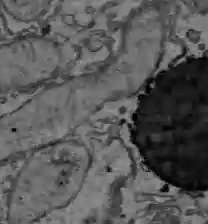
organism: C57BL Mouse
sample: Liver